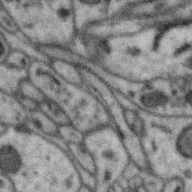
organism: Zebra finch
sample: Brain